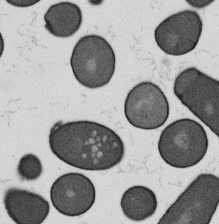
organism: B. subtilis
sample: Bacterial spore